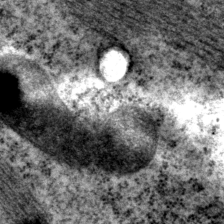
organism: P. pacificus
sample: Pharynx